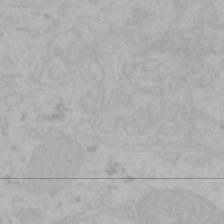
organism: Mouse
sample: Choroid plexus